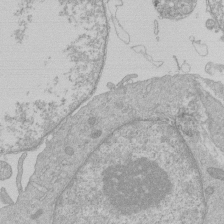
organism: Human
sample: Macrophage cells